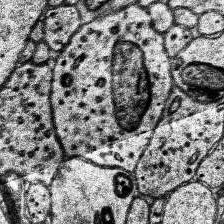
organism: Human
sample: Temporal Lobe